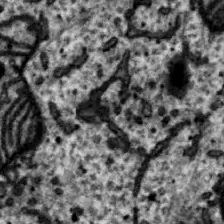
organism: Human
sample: HeLa cells